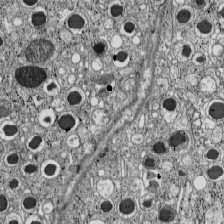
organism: C57BL Mouse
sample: Pancreatic islet